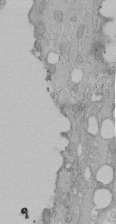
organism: Human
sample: Melanocyte Keratinocyte synapse skin construct